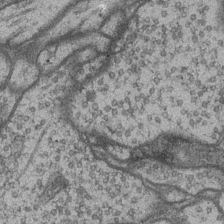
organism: Drosophila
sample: Optic medulla